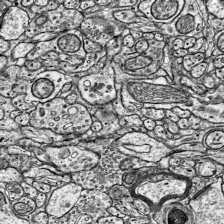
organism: Mouse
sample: Visual Cortex